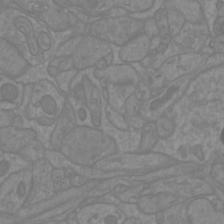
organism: Mouse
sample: Cortical neurons